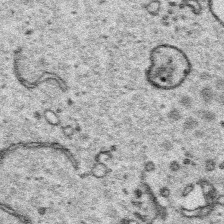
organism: Platynereis dumerilii